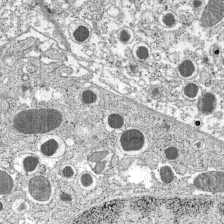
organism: C57BL Mouse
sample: Pancreatic islet